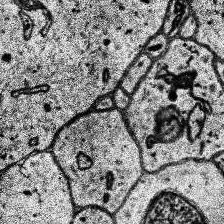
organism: Human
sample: Temporal Lobe